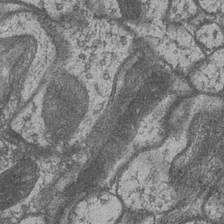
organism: Drosophila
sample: Optic medulla